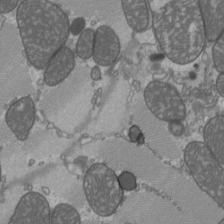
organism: C57BL Mouse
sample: Heart